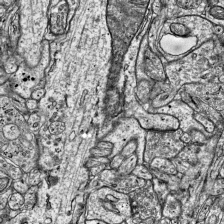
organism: Mouse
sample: Visual Cortex